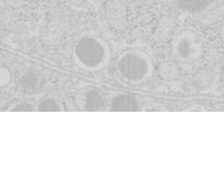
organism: Mouse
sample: Pancreas